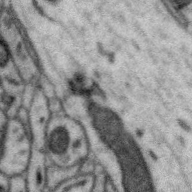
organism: Zebra finch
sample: Brain